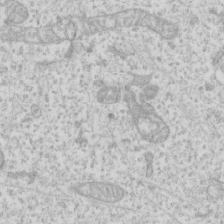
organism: Human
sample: Fibroblast cells